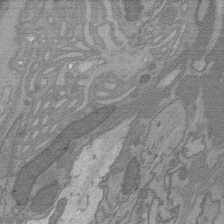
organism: C. elegans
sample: AFD neurons C. elegans